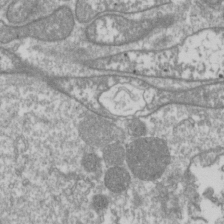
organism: Drosophila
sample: Cell division; meiosis; drosophila spermatocytes